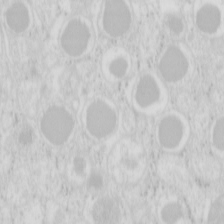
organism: Mouse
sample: Pancreas